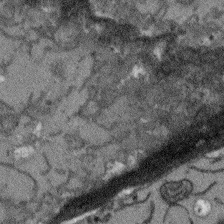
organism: Arabidopsis thaliana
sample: Root tip